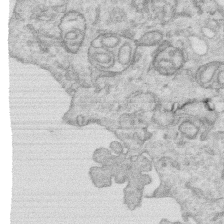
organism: Human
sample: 1205lu cells